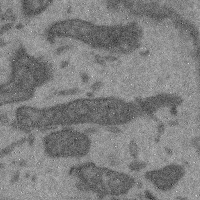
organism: Mouse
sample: Cerebral cortex